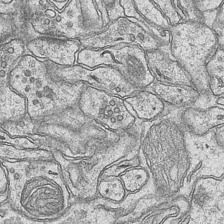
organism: Mouse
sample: CA1 Hippocampus